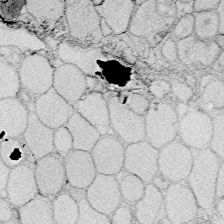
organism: Zebrafish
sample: Whole-Brain